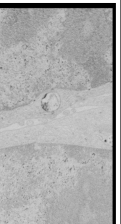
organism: Human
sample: Mitochondria in HCT116 cells